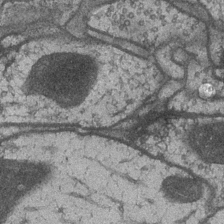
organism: Drosophila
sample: Optic medulla